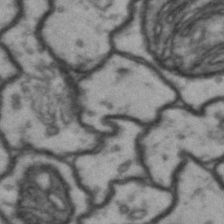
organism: Drosophila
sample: Brain